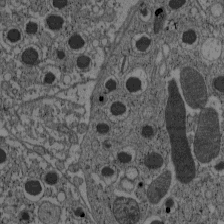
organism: C57BL Mouse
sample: Pancreatic islet